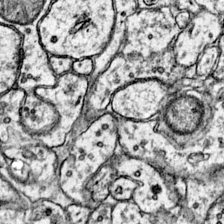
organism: Mouse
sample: Primary visual cortex